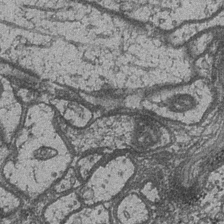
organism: Drosophila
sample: Optic medulla